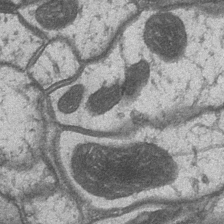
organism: Drosophila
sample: Optic medulla